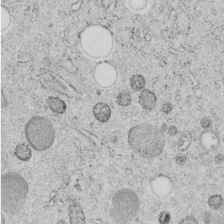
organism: C. elegans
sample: C. elegans embryo early stage